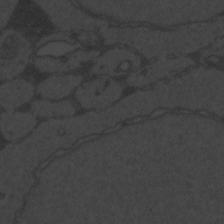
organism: Zebrafish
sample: Macrophage infected with Toxoplasma gondii